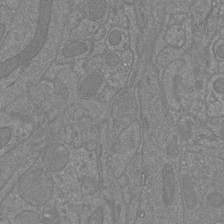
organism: Mouse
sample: Cortical neurons